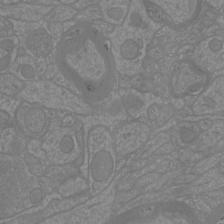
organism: Mouse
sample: Cortical neurons